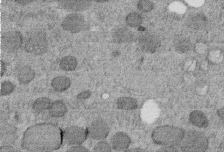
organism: C. elegans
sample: C. elegans embryo early stage